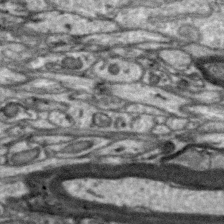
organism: Zebra finch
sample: Brain